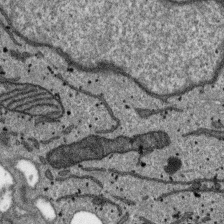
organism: Human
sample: Lung epithelial cells, uninfected (mock) control